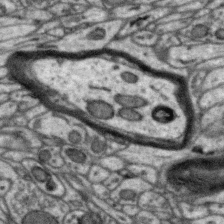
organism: Zebra finch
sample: Brain